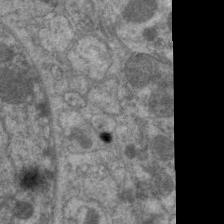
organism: C. elegans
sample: Pharynx